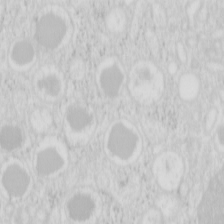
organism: Mouse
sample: Pancreas